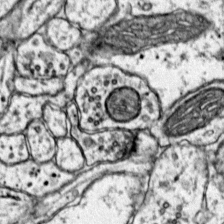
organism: Mouse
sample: Primary visual cortex